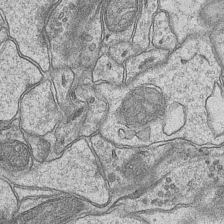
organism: Mouse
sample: CA1 Hippocampus